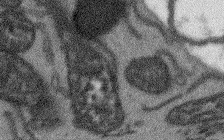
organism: Arabidopsis thaliana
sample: Root tip